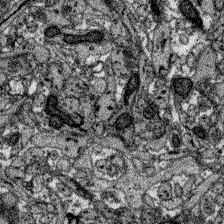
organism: Zebrafish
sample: Larval olfactory bulb